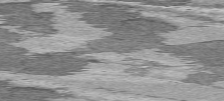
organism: C57BL Mouse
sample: Heart